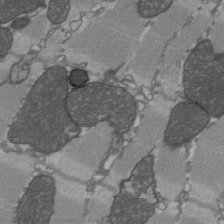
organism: C57BL Mouse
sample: Heart